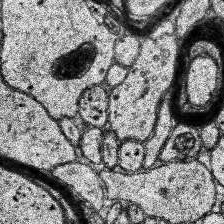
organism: Human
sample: Temporal Lobe